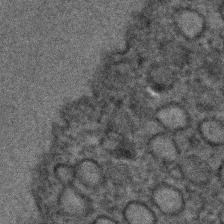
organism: C. elegans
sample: C. elegans embryo